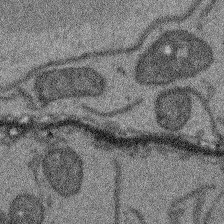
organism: Arabidopsis thaliana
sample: Root tip